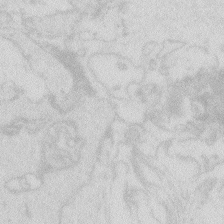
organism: Zebrafish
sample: Macrophage